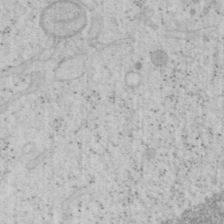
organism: Human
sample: HeLa cells